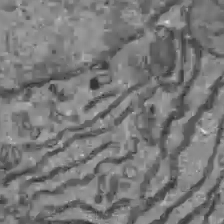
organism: C57BL Mouse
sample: Liver